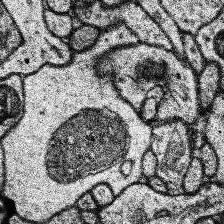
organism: Human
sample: Temporal Lobe